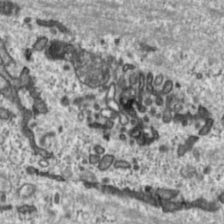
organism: Toxoplasma gondii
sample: Parasites in a vacuole inside a host cell